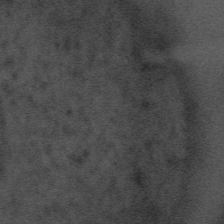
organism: Tuwongella immobilis